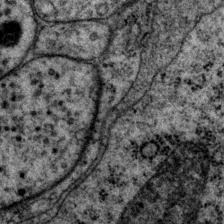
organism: P. pacificus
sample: Pharynx